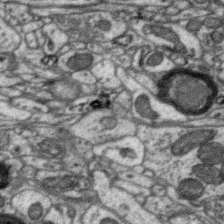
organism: Zebra finch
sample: Brain